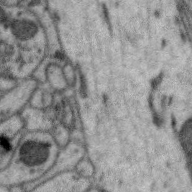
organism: Zebra finch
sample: Brain